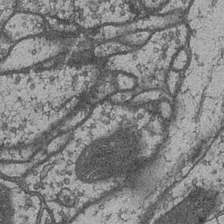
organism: Drosophila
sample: Optic medulla